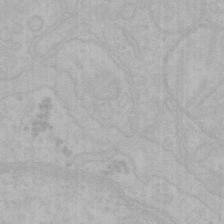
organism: Mouse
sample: Choroid plexus